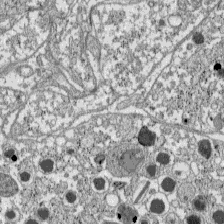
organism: C57BL Mouse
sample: Pancreatic islet